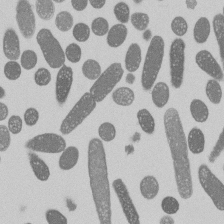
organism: E. coli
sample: Bacterial nucleoid